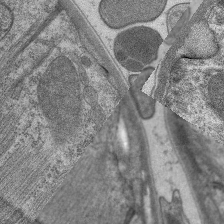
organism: C. elegans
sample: Pharynx